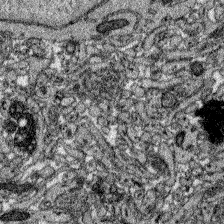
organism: Zebrafish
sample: Larval olfactory bulb